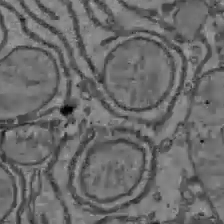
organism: C57BL Mouse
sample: Liver